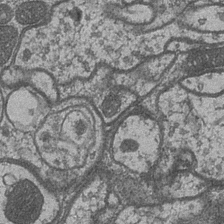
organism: Drosophila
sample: Optic medulla